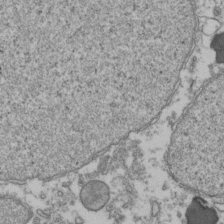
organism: Human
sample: Activated Jurkat CD4+ T cells